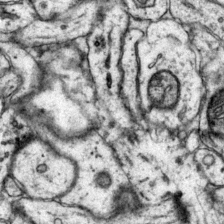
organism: Mouse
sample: Primary visual cortex